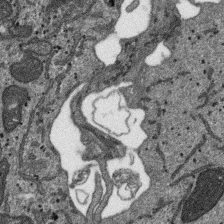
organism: Human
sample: Lung epithelial cells infected with SARS-CoV-2